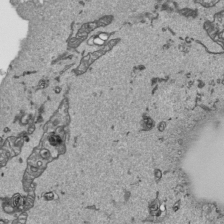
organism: Human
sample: Mitochondria in HCT116 cells